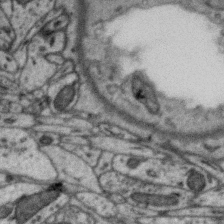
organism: Zebra finch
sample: Brain